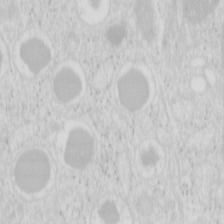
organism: Mouse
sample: Pancreas